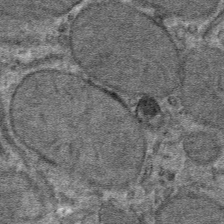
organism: Mouse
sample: Mouse hepatocytes